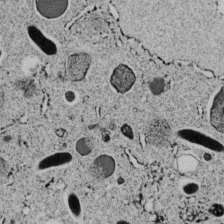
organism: C. elegans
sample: C. elegans embryo early stage